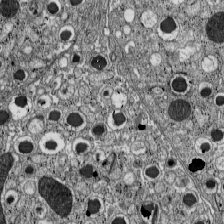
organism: C57BL Mouse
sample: Pancreatic islet